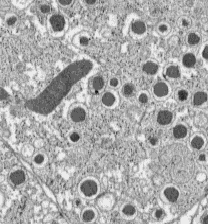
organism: C57BL Mouse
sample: Pancreatic islet